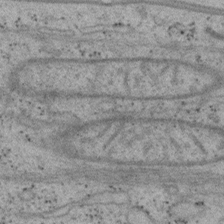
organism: Human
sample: HeLa cells